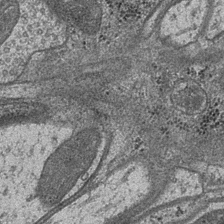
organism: Drosophila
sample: Optic medulla